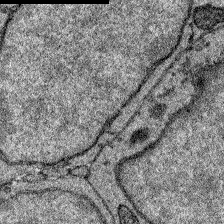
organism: Zebrafish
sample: Larval olfactory bulb